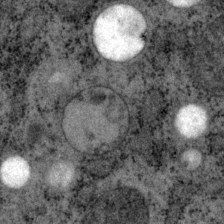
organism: P. pacificus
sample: Pharynx